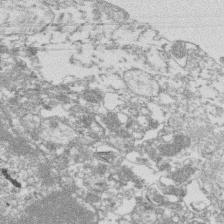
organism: Human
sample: HeLa cell HIV synapse